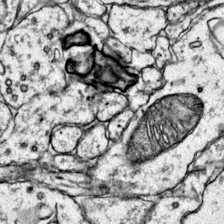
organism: Mouse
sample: Primary visual cortex